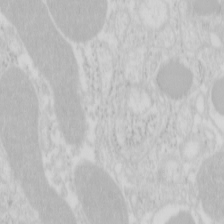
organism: Mouse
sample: Pancreas